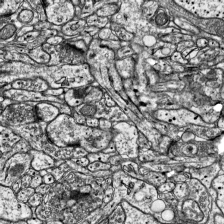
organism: Mouse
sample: Visual Cortex